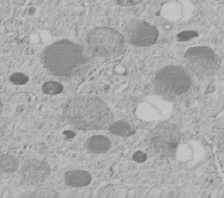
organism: C. elegans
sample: C. elegans embryo early stage